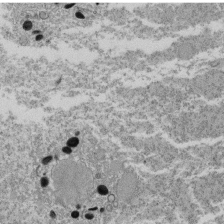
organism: Tetrahymena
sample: Cilia in tetrahymena